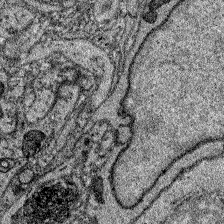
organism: Zebrafish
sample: Larval olfactory bulb